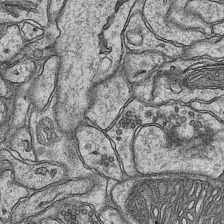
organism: Mouse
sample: CA1 Hippocampus